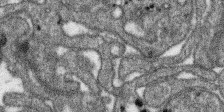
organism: Human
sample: Lung epithelial cells infected with SARS-CoV-2